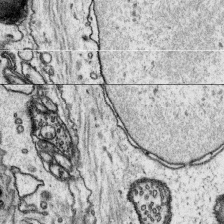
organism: Platynereis dumerilii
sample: Parapodia